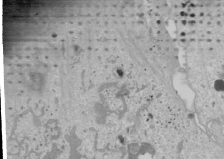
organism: Human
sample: Mitochondria in U2OS cells